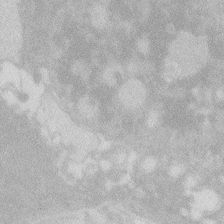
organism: Zebrafish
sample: Macrophage